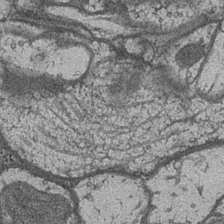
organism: Drosophila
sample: Optic medulla